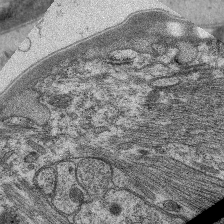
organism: C. elegans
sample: Pharynx